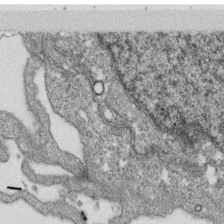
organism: African green monkey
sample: Vero E6 cells infected with SARS-CoV-2